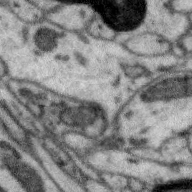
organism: Zebra finch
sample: Brain